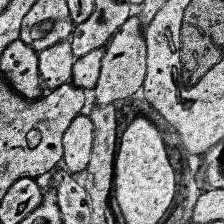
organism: Human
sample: Temporal Lobe